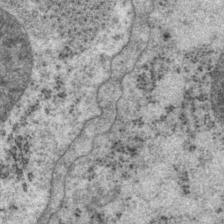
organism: P. pacificus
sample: Pharynx